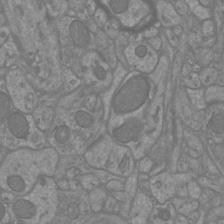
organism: Mouse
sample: Cortical neurons